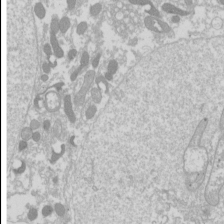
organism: Drosophila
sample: Cell division; meiosis; drosophila spermatocytes